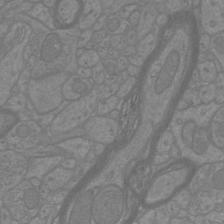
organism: Mouse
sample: Cortical neurons